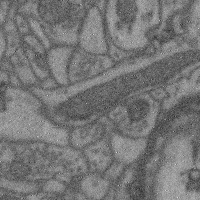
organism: Mouse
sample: Cerebral cortex